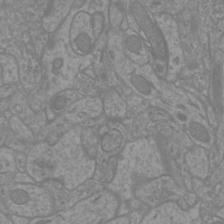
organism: Mouse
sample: Cortical neurons